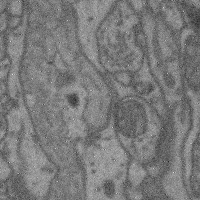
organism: Mouse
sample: Cerebral cortex